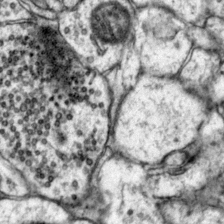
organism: Mouse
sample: Primary visual cortex